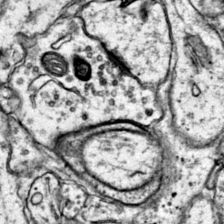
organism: Mouse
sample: Primary visual cortex